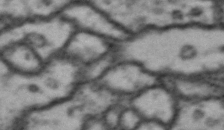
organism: Drosophila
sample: Brain